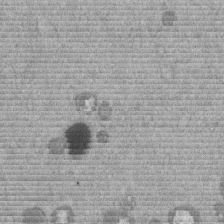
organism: Mouse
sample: Dividing mouse embryo 1 cell stage